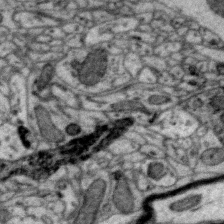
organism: Zebra finch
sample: Brain